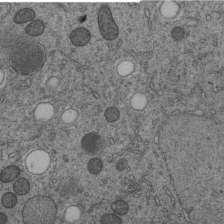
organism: C. elegans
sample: C. elegans embryo early stage